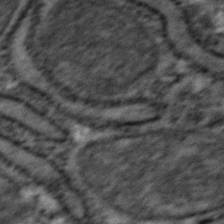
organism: Zebrafish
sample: Zebrafish embryo